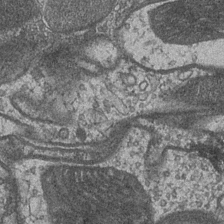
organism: Drosophila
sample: Optic medulla